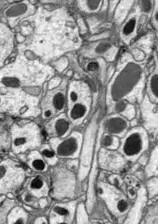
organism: Drosophila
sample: Optic lobe